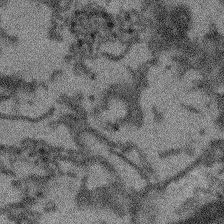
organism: Arabidopsis thaliana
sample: Root tip